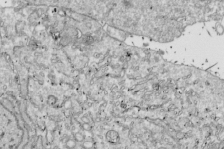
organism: Drosophila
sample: Cell division; meiosis; drosophila spermatocytes